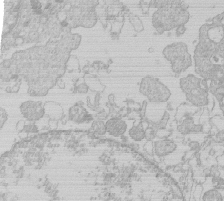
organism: Human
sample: Macrophage cells